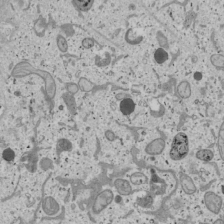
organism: Human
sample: Mitochondria in U2OS cells